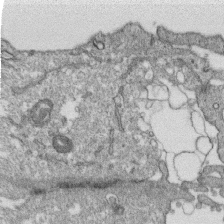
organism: African green monkey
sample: Vero E6 cells infected with SARS-CoV-2